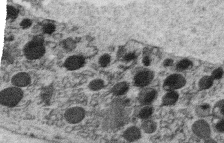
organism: C. elegans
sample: C. elegans oocyte; sperm cells